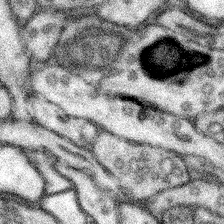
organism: Mouse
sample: Somatosensory cortex neuropil